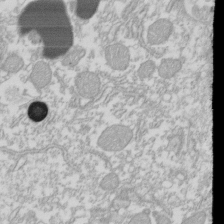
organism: Xenopus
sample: Cilia; centrioles in frog embryo cells